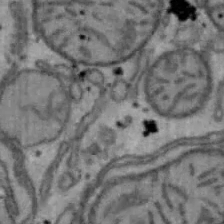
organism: Mouse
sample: Liver